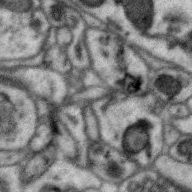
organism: Zebra finch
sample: Brain